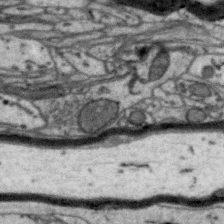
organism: Zebra finch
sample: Brain